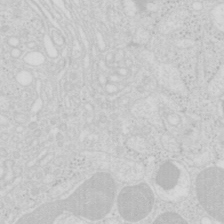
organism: Mouse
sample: Pancreas